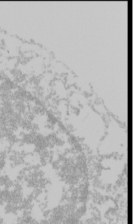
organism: Mouse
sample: Cancer cell death in ED-1 cells